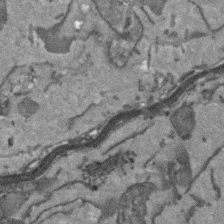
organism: Arabidopsis thaliana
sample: Root tip